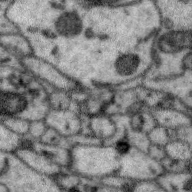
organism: Zebra finch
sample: Brain